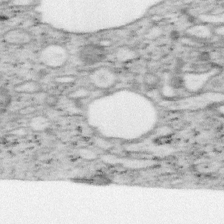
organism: Mouse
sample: OT-I killer T cells with ID8 ovarian cancer cells